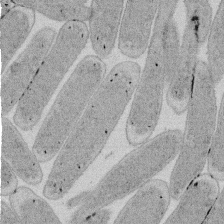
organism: E. coli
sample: Bacterial nucleoid